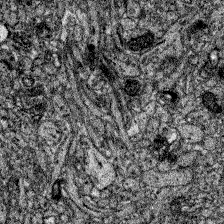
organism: Zebrafish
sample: Larval olfactory bulb